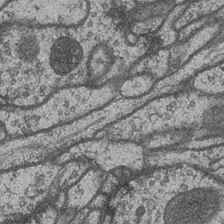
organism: Drosophila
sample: Optic medulla